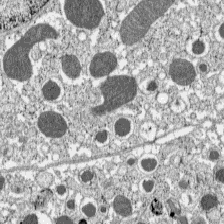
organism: C57BL Mouse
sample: Pancreatic islet